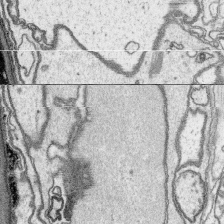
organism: Platynereis dumerilii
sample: Parapodia